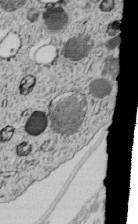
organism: C. elegans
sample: C. elegans embryo early stage